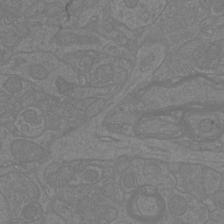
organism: Mouse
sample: Cortical neurons